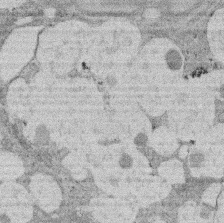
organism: Rat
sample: Salivary granule